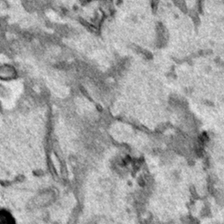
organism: Human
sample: Mitochondria in HCT116 cells